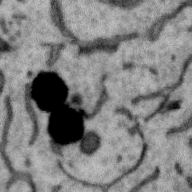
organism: Zebra finch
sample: Brain